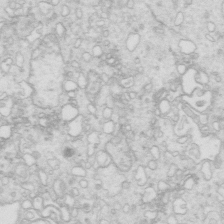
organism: Mouse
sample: Multiciliated cells